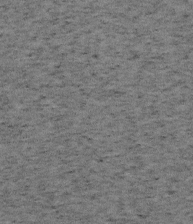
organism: Mouse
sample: OT-I killer T cells with ID8 ovarian cancer cells